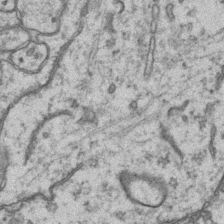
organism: Mouse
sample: CA1 Hippocampus